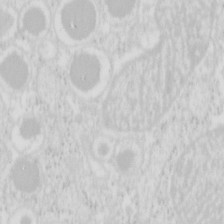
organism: Mouse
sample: Pancreas